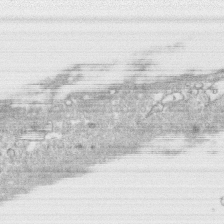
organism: Human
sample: CRL-1474